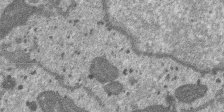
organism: Human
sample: Lung epithelial cells infected with SARS-CoV-2